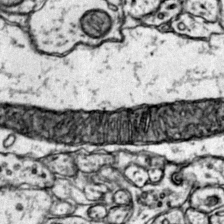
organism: Mouse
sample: Primary visual cortex